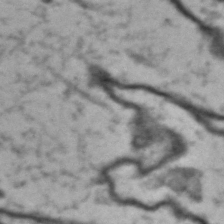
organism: Drosophila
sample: Brain